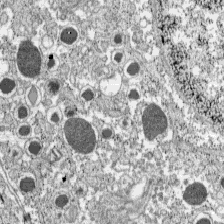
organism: C57BL Mouse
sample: Pancreatic islet